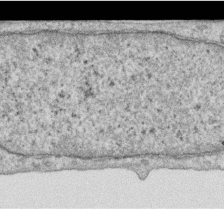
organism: Human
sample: Centriole in RPE cells